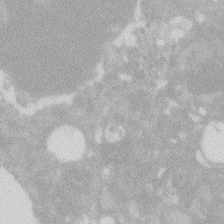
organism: Zebrafish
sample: Macrophage